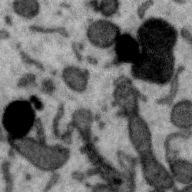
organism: Zebra finch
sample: Brain